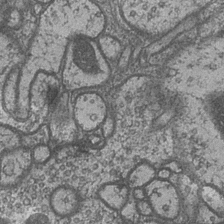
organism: Drosophila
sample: Optic medulla